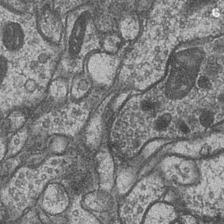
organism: Drosophila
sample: Optic medulla